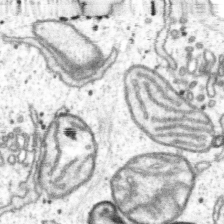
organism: Human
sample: HeLa cells